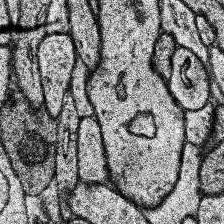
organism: Human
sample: Temporal Lobe